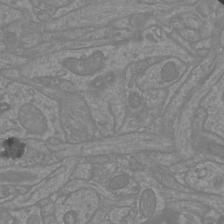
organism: Mouse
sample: Cortical neurons